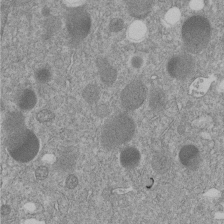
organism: C. elegans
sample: C. elegans embryo early stage